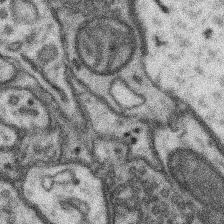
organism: Mouse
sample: Somatosensory cortex neuropil